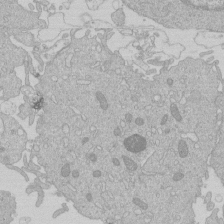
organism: Human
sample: Macrophage cells